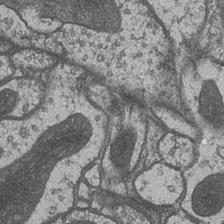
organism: Drosophila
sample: Optic medulla